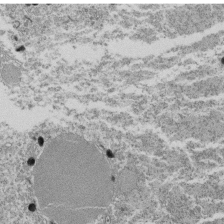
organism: Tetrahymena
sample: Cilia in tetrahymena